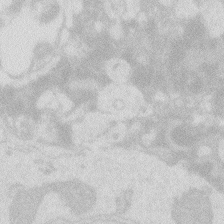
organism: Zebrafish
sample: Macrophage